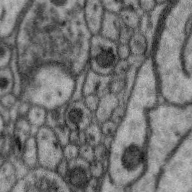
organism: Zebra finch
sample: Brain